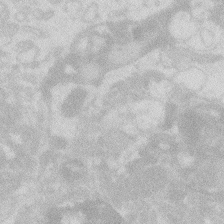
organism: Zebrafish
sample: Macrophage